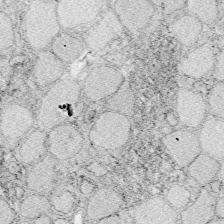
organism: Zebrafish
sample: Whole-Brain